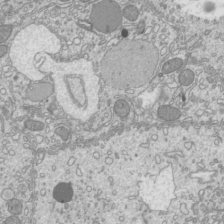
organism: Mouse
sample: Cilia; mouse epididymis